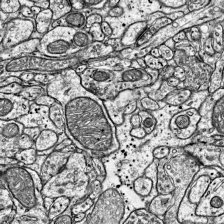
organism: Mouse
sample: Visual Cortex